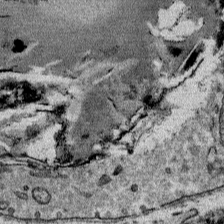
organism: Mouse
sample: Mouse Salivary gland